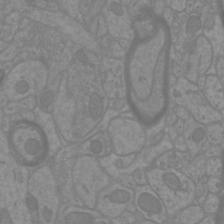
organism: Mouse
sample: Cortical neurons